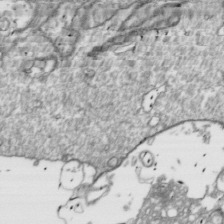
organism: Drosophila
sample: Cell division; meiosis; drosophila spermatocytes